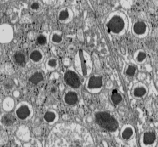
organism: C57BL Mouse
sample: Pancreatic islet